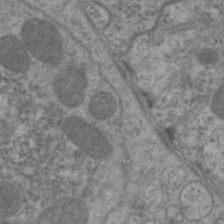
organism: C. elegans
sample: Pharynx